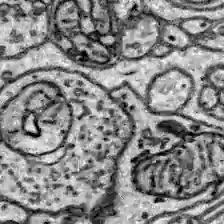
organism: Zebrafish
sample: Brain